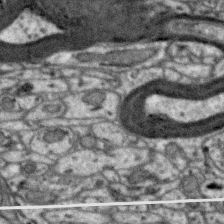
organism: Zebra finch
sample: Brain